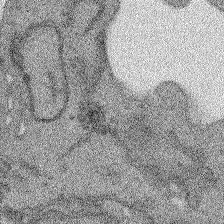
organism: Human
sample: HeLa cells